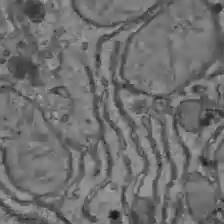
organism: C57BL Mouse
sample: Liver